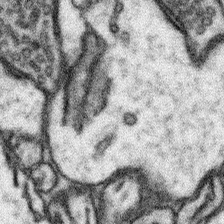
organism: Mouse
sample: Somatosensory cortex neuropil